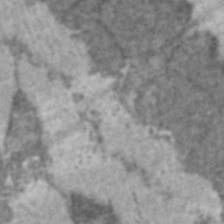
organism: C57BL Mouse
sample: Heart